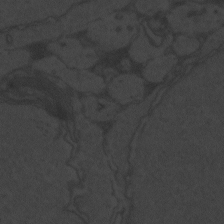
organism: Zebrafish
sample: Macrophage infected with Toxoplasma gondii